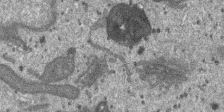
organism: Human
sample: Lung epithelial cells infected with SARS-CoV-2